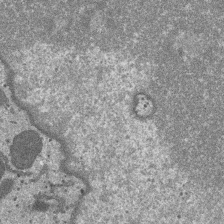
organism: Human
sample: Lung epithelial cells infected with SARS-CoV-2